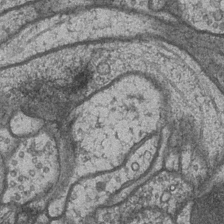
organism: Drosophila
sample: Optic medulla